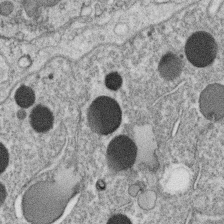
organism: C. elegans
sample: C. elegans oocyte; sperm cells